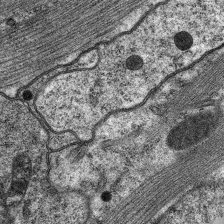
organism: C. elegans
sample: Pharynx